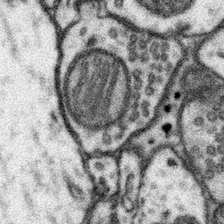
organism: Mouse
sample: Somatosensory cortex neuropil